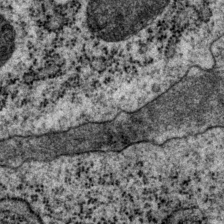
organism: P. pacificus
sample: Pharynx